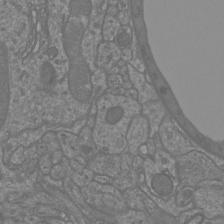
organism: Mouse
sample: Cortical neurons